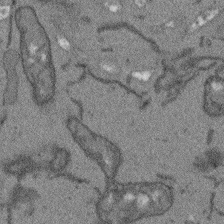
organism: Arabidopsis thaliana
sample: Root tip